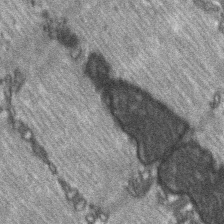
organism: C57BL Mouse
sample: Soleus